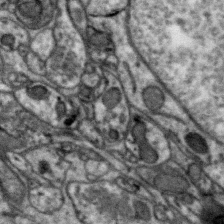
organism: Zebra finch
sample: Brain